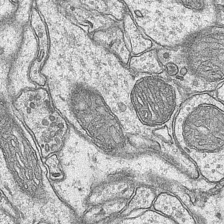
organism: Mouse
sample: CA1 Hippocampus